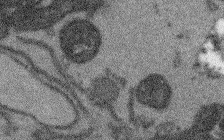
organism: Arabidopsis thaliana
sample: Root tip